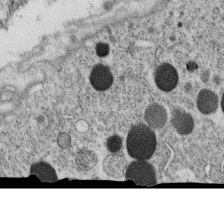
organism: C. elegans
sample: C. elegans oocyte; sperm cells